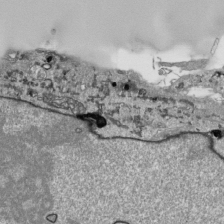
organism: Human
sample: Mitochondria in HCT116 cells